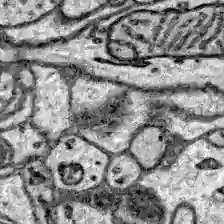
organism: Zebrafish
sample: Brain